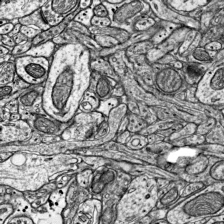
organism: Mouse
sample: Visual Cortex